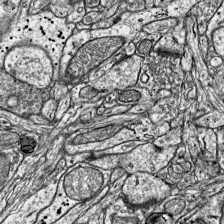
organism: Mouse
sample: Visual Cortex